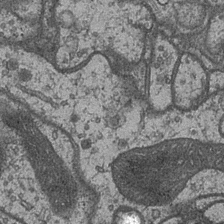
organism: Drosophila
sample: Optic medulla